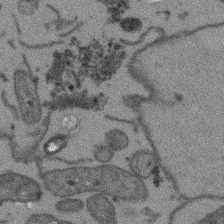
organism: Arabidopsis thaliana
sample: Root tip